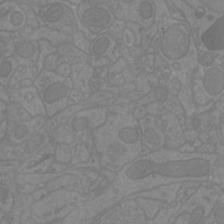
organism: Mouse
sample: Cortical neurons